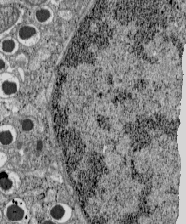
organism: C57BL Mouse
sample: Pancreatic islet